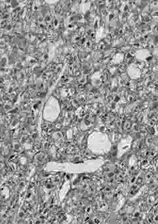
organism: Drosophila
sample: Optic lobe